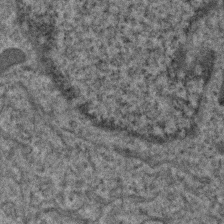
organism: Human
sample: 1205lu cells